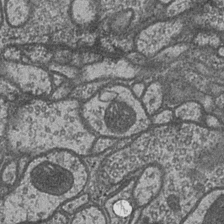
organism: Drosophila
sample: Optic medulla